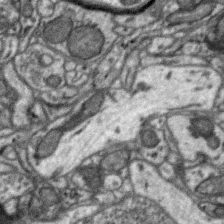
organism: Zebra finch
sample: Brain